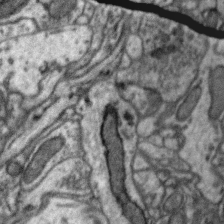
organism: Zebra finch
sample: Brain